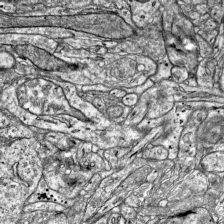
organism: Mouse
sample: Visual Cortex